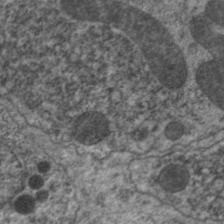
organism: C. elegans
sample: Pharynx